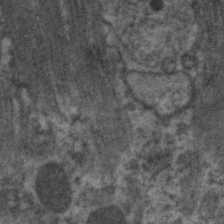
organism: C. elegans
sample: Pharynx